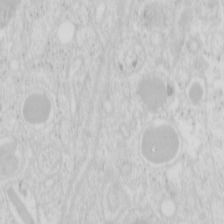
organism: Mouse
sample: Pancreas